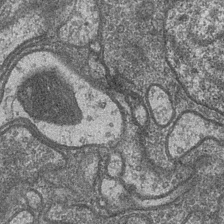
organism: Drosophila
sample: Optic medulla